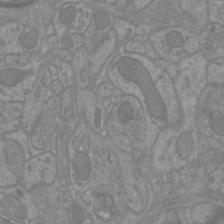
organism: Mouse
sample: Cortical neurons